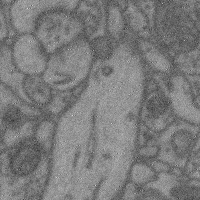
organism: Mouse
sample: Cerebral cortex